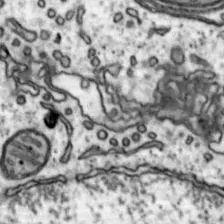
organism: Mouse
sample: Nucleus accumbens